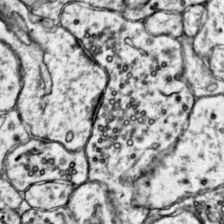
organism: Mouse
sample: Primary visual cortex